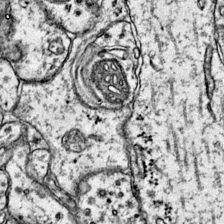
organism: Mouse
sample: Primary visual cortex